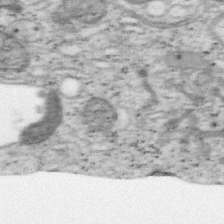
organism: Mouse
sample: OT-I killer T cells with ID8 ovarian cancer cells